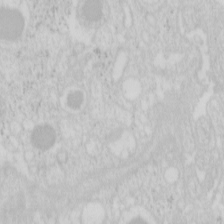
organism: Mouse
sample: Pancreas